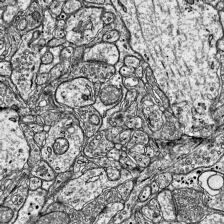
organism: Mouse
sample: Visual Cortex